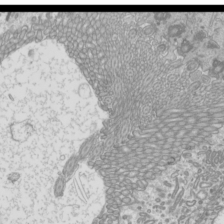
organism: Mouse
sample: Cilia; mouse epididymis